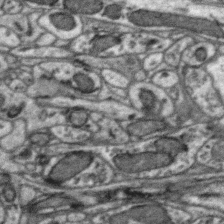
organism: Zebra finch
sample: Brain